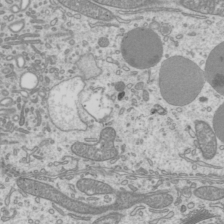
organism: Mouse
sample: Cilia; mouse epididymis